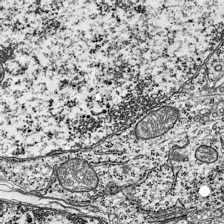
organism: Mouse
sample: Visual Cortex